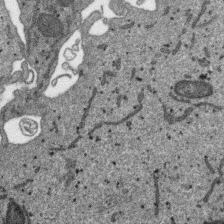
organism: Human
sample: Lung epithelial cells infected with SARS-CoV-2